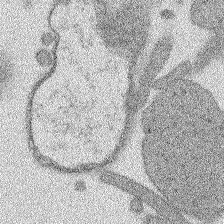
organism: Human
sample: HeLa cells